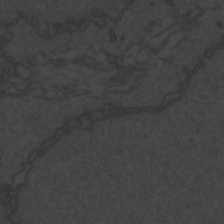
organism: Zebrafish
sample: Macrophage infected with Toxoplasma gondii